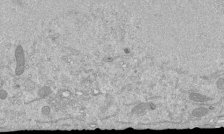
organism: Mouse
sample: ED-1 cell nuclei; centrioles